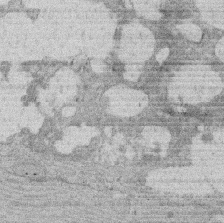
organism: Rat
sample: Salivary granule